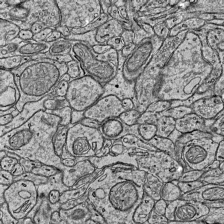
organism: Mouse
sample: Visual Cortex